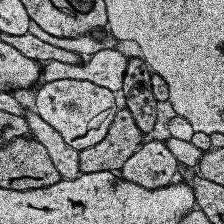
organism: Human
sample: Temporal Lobe